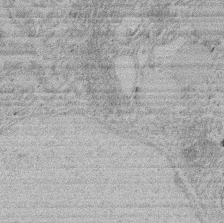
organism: Rat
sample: Salivary granule